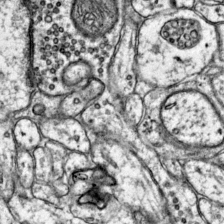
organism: Mouse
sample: Primary visual cortex